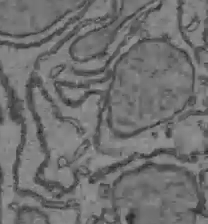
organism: C57BL Mouse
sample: Liver